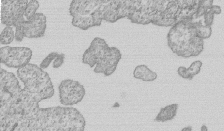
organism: Human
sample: MDA-MB-231 cells